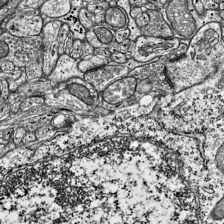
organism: Mouse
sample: Visual Cortex